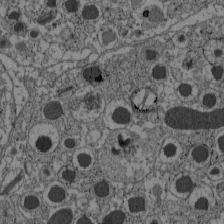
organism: C57BL Mouse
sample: Pancreatic islet